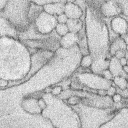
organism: Rabbit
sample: Retina